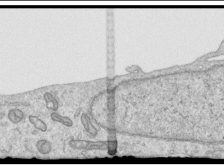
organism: Human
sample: Centriole in RPE cells